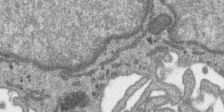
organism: Human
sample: Lung epithelial cells infected with SARS-CoV-2